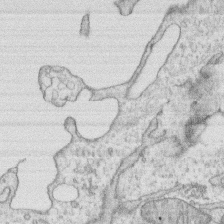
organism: Human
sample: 1205lu cells